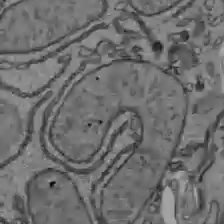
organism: C57BL Mouse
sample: Liver